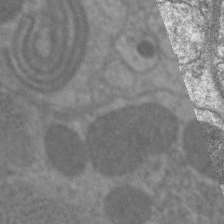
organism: C. elegans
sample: Pharynx